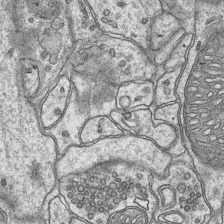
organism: Mouse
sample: CA1 Hippocampus